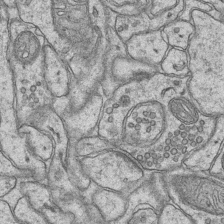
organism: Mouse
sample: CA1 Hippocampus